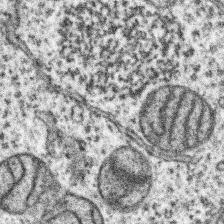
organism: Human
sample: HeLa cells